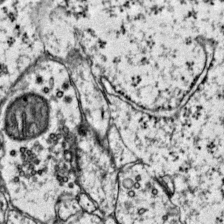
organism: Mouse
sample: Primary visual cortex